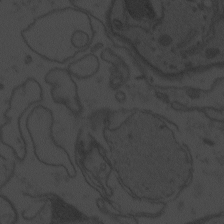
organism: Zebrafish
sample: Macrophage infected with Toxoplasma gondii